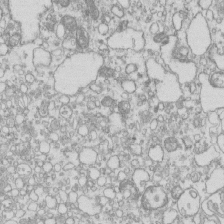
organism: Mouse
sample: Macrophages